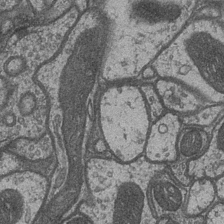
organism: Drosophila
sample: Optic medulla